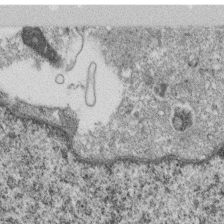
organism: African green monkey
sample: Vero E6 cells infected with SARS-CoV-2